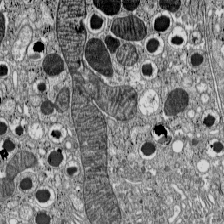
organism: C57BL Mouse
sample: Pancreatic islet